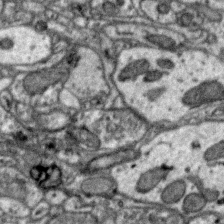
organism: Zebra finch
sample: Brain